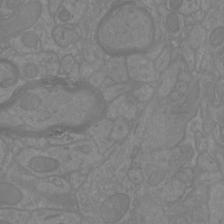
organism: Mouse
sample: Cortical neurons